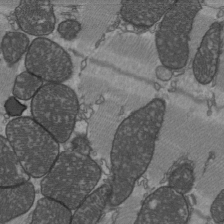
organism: C57BL Mouse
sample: Heart